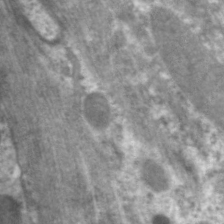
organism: C. elegans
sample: Pharynx